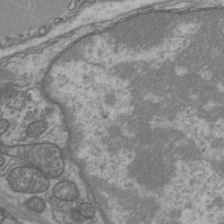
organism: C57BL Mouse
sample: Heart